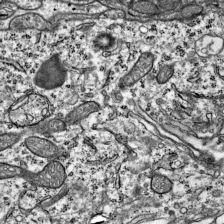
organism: Mouse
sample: Visual Cortex